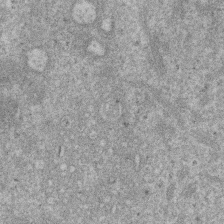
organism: Mouse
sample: Dividing mouse embryo 1 cell stage